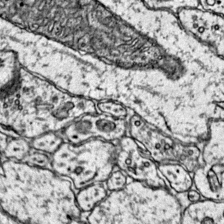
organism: Mouse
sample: Primary visual cortex